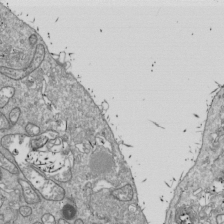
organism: Drosophila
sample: Cell division; meiosis; drosophila spermatocytes